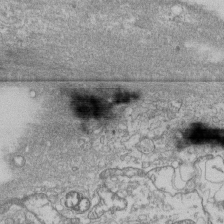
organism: Human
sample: Fibroblast cells